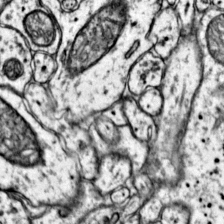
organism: Mouse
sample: Primary visual cortex